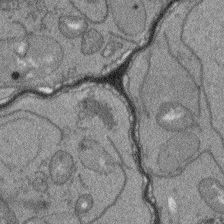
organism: Arabidopsis thaliana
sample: Root tip